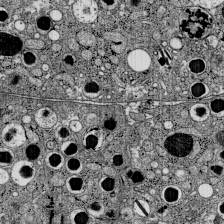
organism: C57BL Mouse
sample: Pancreatic islet